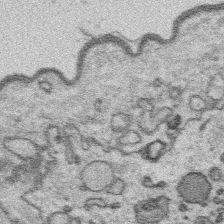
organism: Platynereis dumerilii